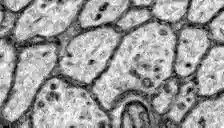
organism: Zebrafish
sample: Brain